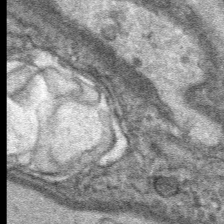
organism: Mouse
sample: Mouse Salivary gland